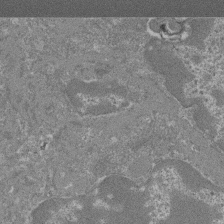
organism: Mouse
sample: Glomerulus